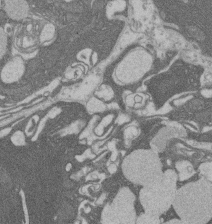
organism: Rat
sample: Salivary granule